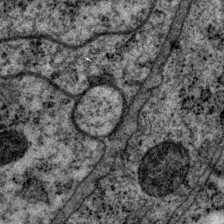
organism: P. pacificus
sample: Pharynx